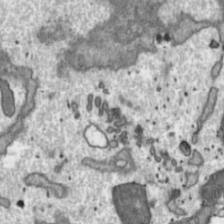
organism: Toxoplasma gondii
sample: Parasites in a vacuole inside a host cell